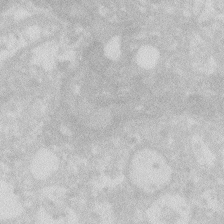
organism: Zebrafish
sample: Macrophage